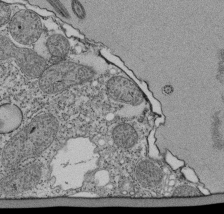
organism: Tetrahymena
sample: Cilia in tetrahymena